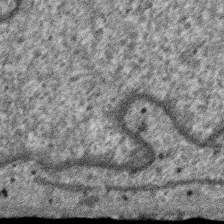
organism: Human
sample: Lung epithelial cells infected with SARS-CoV-2